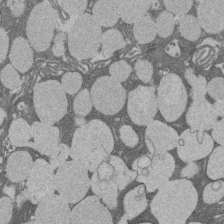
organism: Rat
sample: Salivary granule